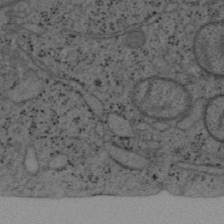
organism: Human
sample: HeLa cells